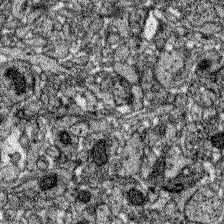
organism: Zebrafish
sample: Larval olfactory bulb